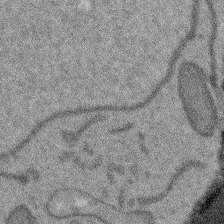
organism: Arabidopsis thaliana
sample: Root tip